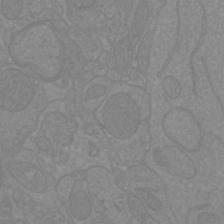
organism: Mouse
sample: Cortical neurons